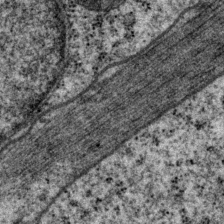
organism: P. pacificus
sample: Pharynx